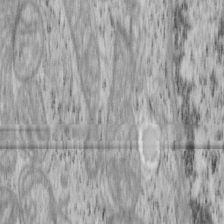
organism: Human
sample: HeLa cells